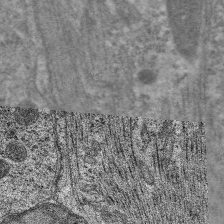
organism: C. elegans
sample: Pharynx